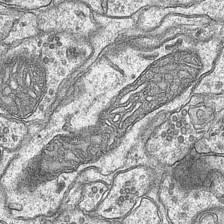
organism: Mouse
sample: CA1 Hippocampus